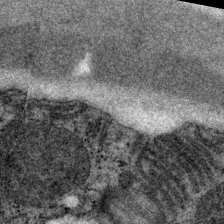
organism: P. pacificus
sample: Pharynx